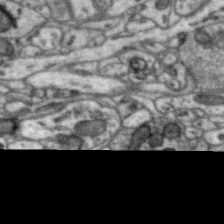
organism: Zebra finch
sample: Brain